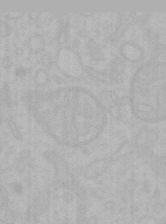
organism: Mouse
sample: Choroid plexus